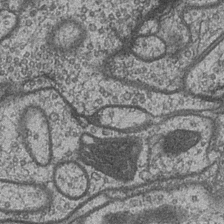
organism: Drosophila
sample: Optic medulla